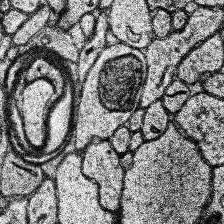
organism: Human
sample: Temporal Lobe